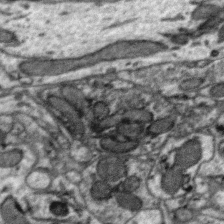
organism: Zebra finch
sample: Brain